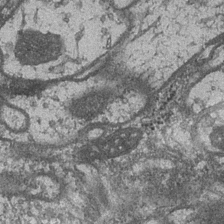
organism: Drosophila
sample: Optic medulla